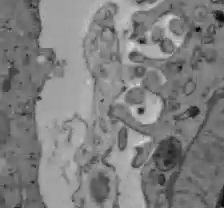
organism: C57BL Mouse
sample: Liver